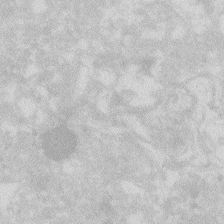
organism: Zebrafish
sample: Macrophage